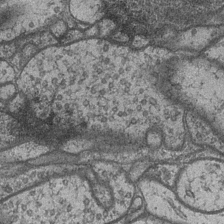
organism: Drosophila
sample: Optic medulla